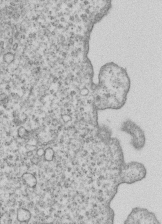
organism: Human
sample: MDA-MB-231 cells